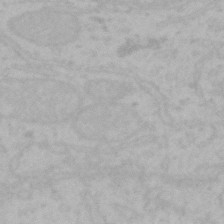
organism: Mouse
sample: Choroid plexus